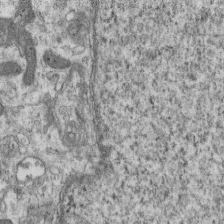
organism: Mouse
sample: Centriole in ependymal cells